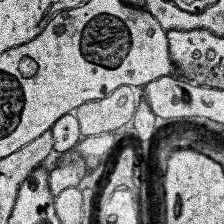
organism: Human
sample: Temporal Lobe